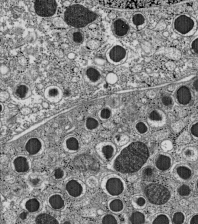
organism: C57BL Mouse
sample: Pancreatic islet